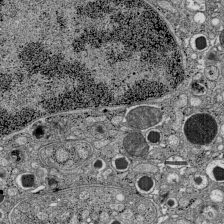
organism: C57BL Mouse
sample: Pancreatic islet